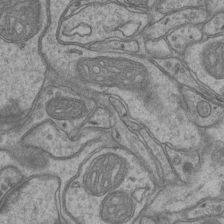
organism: Mouse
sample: CA1 Hippocampus